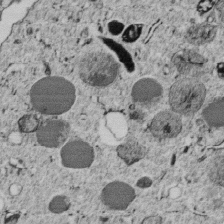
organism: C. elegans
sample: C. elegans embryo early stage